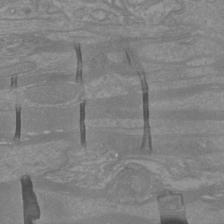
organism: Mouse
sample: Cortical neurons